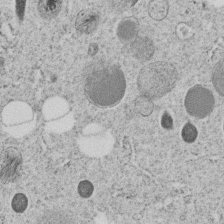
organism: C. elegans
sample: C. elegans embryo early stage